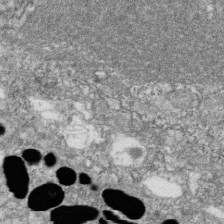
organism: Zebrafish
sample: Cilia; retinal pigment epithelium